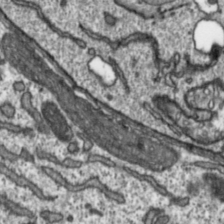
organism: Toxoplasma gondii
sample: Parasites in a vacuole inside a host cell